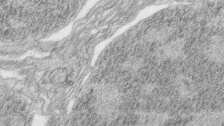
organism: Zebrafish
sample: synaptic ribbons in rod cells and cone cells